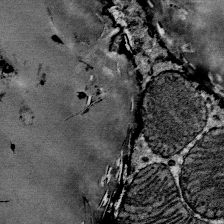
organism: Mouse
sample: Mouse Salivary gland